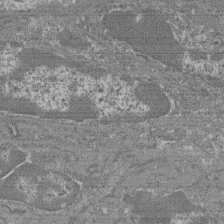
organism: Mouse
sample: Glomerulus